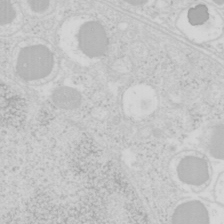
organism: Mouse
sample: Pancreas